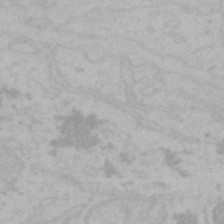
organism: Mouse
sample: Choroid plexus